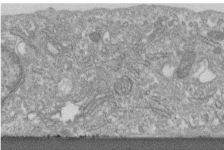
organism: Human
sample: Centriole in fibroblast cells